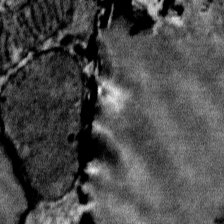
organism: Mouse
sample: Mouse Salivary gland